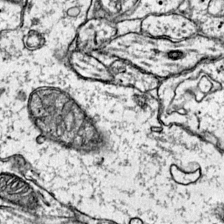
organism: Mouse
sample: Primary visual cortex